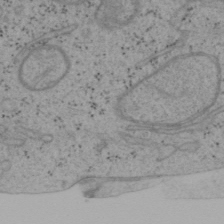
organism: Human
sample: HeLa cells